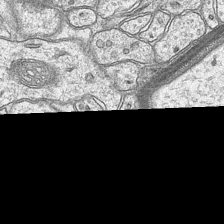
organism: Mouse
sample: CA1 Hippocampus